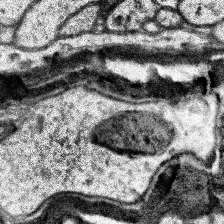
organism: Human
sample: Temporal Lobe